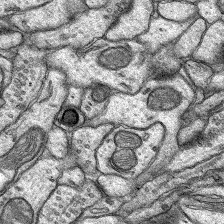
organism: Rat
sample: Hippocampus